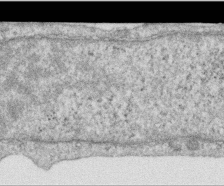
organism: Human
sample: Centriole in RPE cells